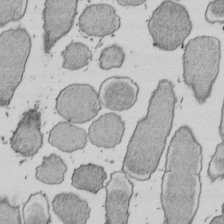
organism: E. coli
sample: Bacterial nucleoid